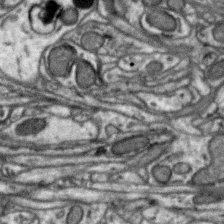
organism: Zebra finch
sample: Brain